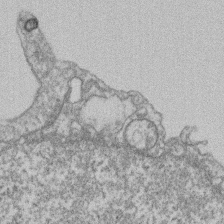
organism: Mouse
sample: T cell stromal cell synapse